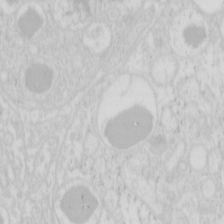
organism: Mouse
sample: Pancreas